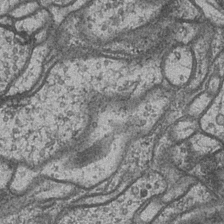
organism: Drosophila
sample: Optic medulla